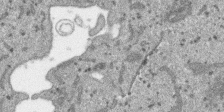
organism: Human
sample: Lung epithelial cells infected with SARS-CoV-2